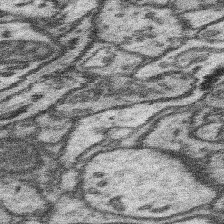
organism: Mouse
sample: Somatosensory cortex neuropil